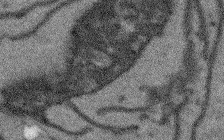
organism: Arabidopsis thaliana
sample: Root tip